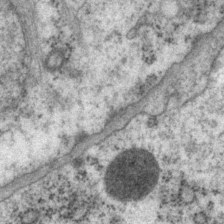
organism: P. pacificus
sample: Pharynx